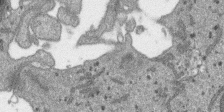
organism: Human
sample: Lung epithelial cells infected with SARS-CoV-2